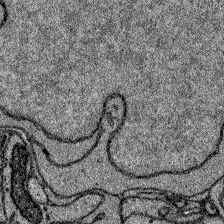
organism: Zebrafish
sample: Larval olfactory bulb